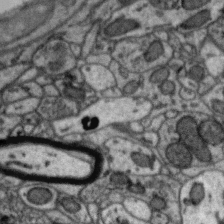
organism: Zebra finch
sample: Brain